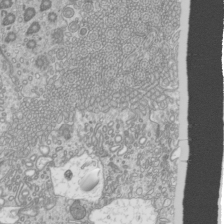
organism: Mouse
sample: Cilia; mouse epididymis